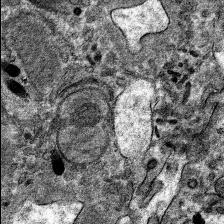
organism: Mouse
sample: Mouse hepatocytes